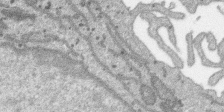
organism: Human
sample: Lung epithelial cells infected with SARS-CoV-2